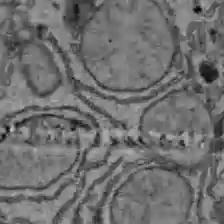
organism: C57BL Mouse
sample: Liver